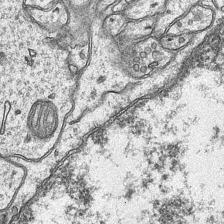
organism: Mouse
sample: CA1 Hippocampus